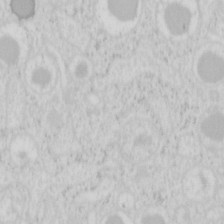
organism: Mouse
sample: Pancreas